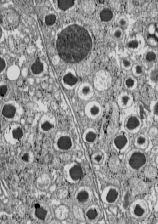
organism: C57BL Mouse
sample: Pancreatic islet